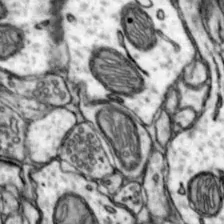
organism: Mouse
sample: Nucleus accumbens